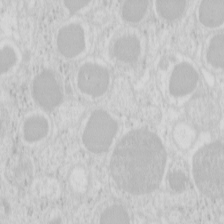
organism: Mouse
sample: Pancreas